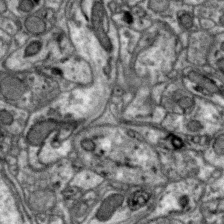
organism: Zebra finch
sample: Brain